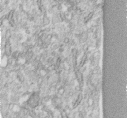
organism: Human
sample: Centriole in fibroblast cells